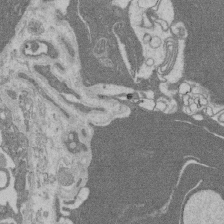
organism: Rat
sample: Salivary granule